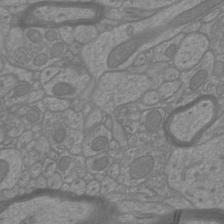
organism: Mouse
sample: Cortical neurons